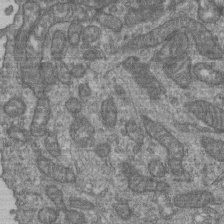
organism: Human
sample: Retinal organoid Rod and Cone cells